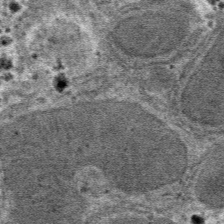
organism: Mouse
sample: Mouse hepatocytes